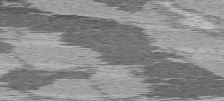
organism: C57BL Mouse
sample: Heart